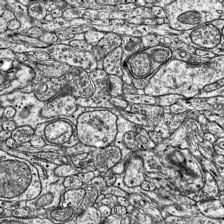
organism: Mouse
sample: Visual Cortex